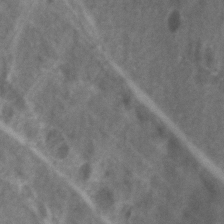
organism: Zebrafish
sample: Zebrafish embryo